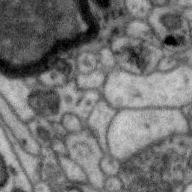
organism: Zebra finch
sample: Brain